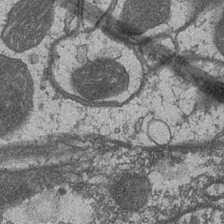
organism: Drosophila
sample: Optic medulla